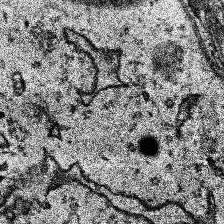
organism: Human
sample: Temporal Lobe